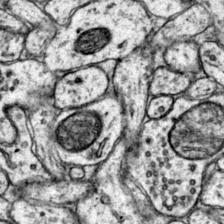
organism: Mouse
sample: Primary visual cortex